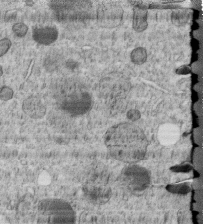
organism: C. elegans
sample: C. elegans embryo early stage